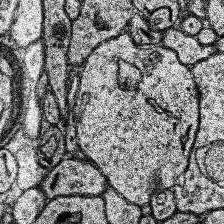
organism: Human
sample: Temporal Lobe